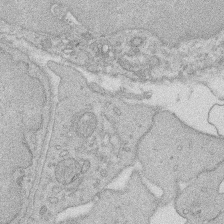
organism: Rat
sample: Salivary granule